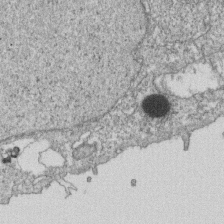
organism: Human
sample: HeLa cell HIV synapse